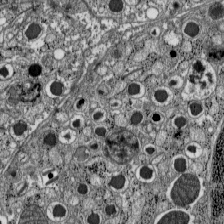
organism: C57BL Mouse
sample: Pancreatic islet